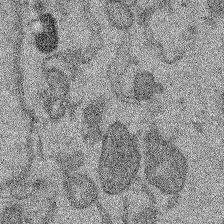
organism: Human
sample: HeLa cells